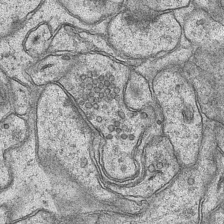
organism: Mouse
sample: CA1 Hippocampus